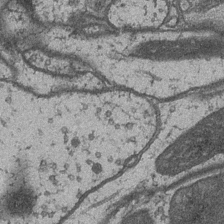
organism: Drosophila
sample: Optic medulla